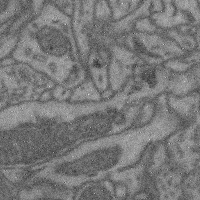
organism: Mouse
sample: Cerebral cortex